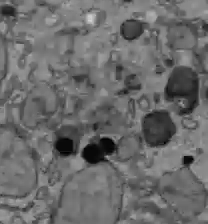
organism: C57BL Mouse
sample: Liver